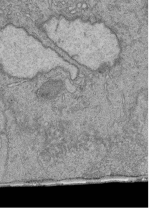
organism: Human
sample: Retinal organoid Rod and Cone cells